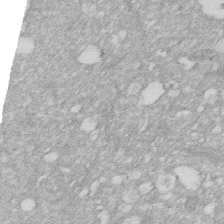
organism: Human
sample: HIV infected U937 cells